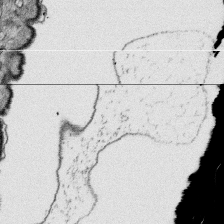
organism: Platynereis dumerilii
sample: Parapodia